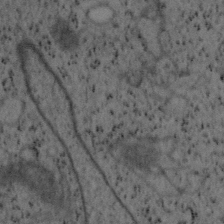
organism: Human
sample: HeLa cells